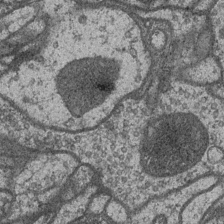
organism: Drosophila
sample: Optic medulla